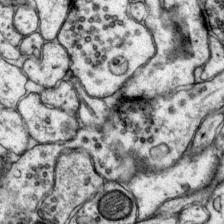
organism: Mouse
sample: Primary visual cortex